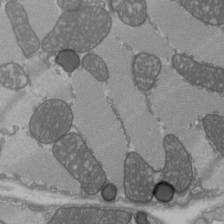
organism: C57BL Mouse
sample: Heart